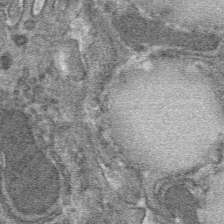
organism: Mouse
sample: Mouse hepatocytes